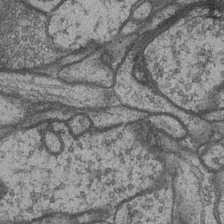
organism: Drosophila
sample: Optic medulla